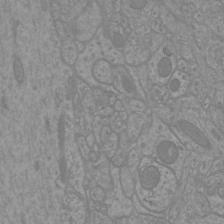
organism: Mouse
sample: Cortical neurons